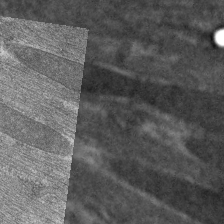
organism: C. elegans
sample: Pharynx